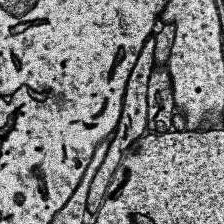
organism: Human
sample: Temporal Lobe